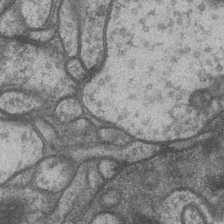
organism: Drosophila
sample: Optic medulla